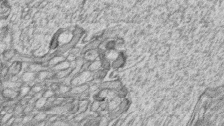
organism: Zebrafish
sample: synaptic ribbons in rod cells and cone cells